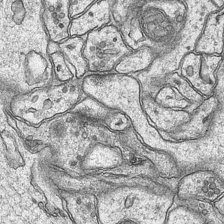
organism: Mouse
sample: CA1 Hippocampus